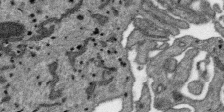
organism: Human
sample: Lung epithelial cells, uninfected (mock) control